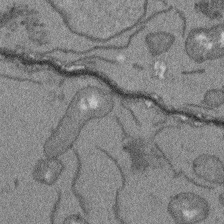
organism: Arabidopsis thaliana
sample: Root tip